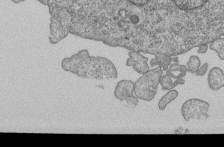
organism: Human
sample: MDA-MB-231 cells